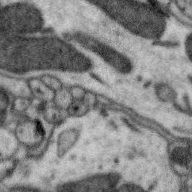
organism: Zebra finch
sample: Brain